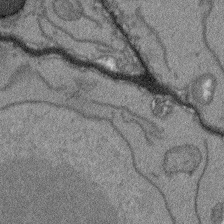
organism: Arabidopsis thaliana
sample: Root tip